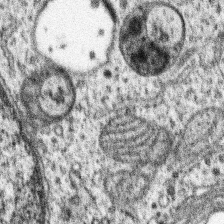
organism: Human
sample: HeLa cells